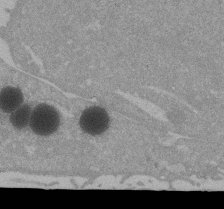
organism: Mouse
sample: ED-1 cell nuclei; centrioles